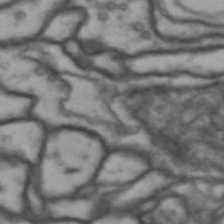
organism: Drosophila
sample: Brain